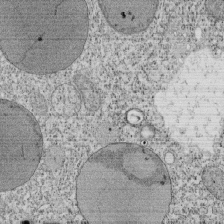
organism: Tetrahymena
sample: Cilia in tetrahymena